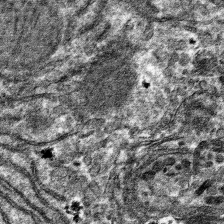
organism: Mouse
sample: Mouse hepatocytes